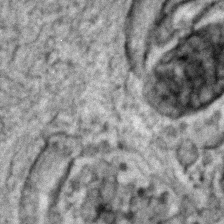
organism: Zebrafish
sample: Zebrafish embryo